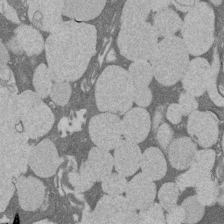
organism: Rat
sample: Salivary granule